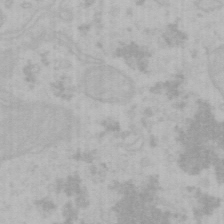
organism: Mouse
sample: Choroid plexus